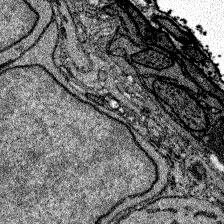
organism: Zebrafish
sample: Larval olfactory bulb